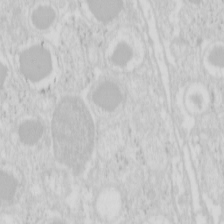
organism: Mouse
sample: Pancreas